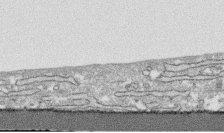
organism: Human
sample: CRL-1474